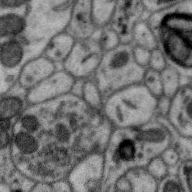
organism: Zebra finch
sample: Brain